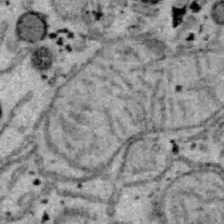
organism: Mouse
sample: Liver from an obese (ob/ob) mouse